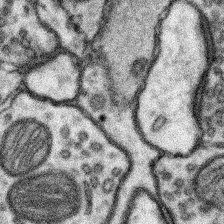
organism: Mouse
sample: Somatosensory cortex neuropil